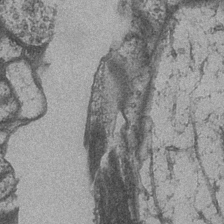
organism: Drosophila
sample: Optic medulla